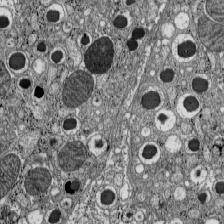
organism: C57BL Mouse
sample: Pancreatic islet